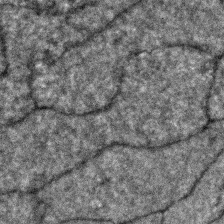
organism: Zebrafish